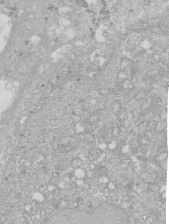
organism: Human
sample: Caco-2 cells